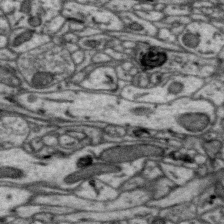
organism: Zebra finch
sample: Brain